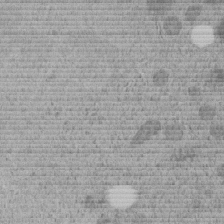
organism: C. elegans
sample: C. elegans embryo early stage